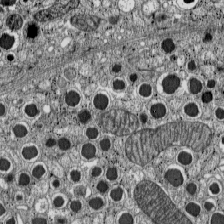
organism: C57BL Mouse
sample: Pancreatic islet